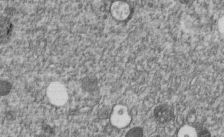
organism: C. elegans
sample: C. elegans embryo early stage